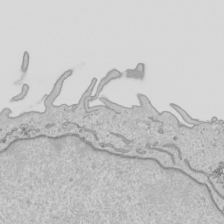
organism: Human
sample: Mitochondria in HCT116 cells